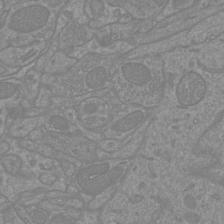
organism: Mouse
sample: Cortical neurons